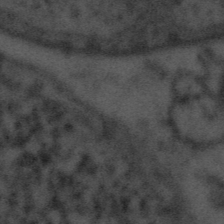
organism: Tuwongella immobilis